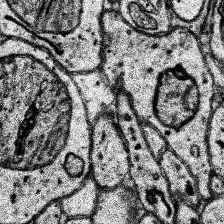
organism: Human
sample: Temporal Lobe